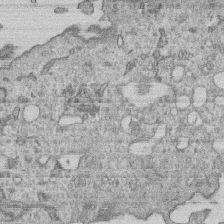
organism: Human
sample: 1205lu cells